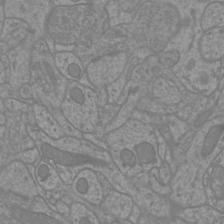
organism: Mouse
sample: Cortical neurons